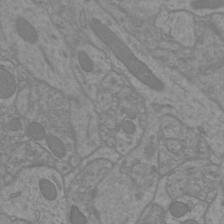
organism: Mouse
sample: Cortical neurons